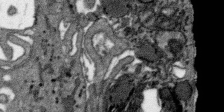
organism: Human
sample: Lung epithelial cells, uninfected (mock) control